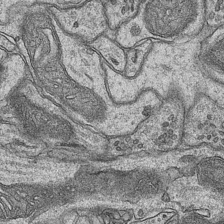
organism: Mouse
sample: CA1 Hippocampus